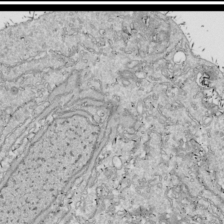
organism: Drosophila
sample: Cell division; meiosis; drosophila spermatocytes